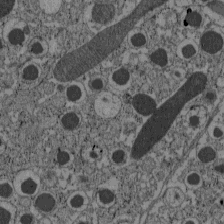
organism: C57BL Mouse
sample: Pancreatic islet